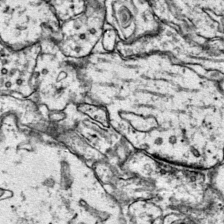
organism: Mouse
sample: Primary visual cortex